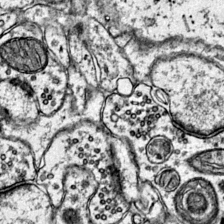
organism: Mouse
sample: Primary visual cortex